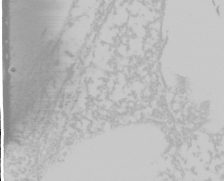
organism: Mouse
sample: Cancer cell death in ED-1 cells